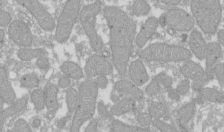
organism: Xenopus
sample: Cilia; centrioles in frog embryo cells